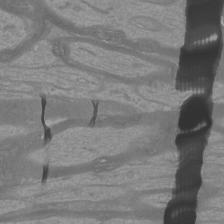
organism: Mouse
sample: Cortical neurons